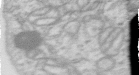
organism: Human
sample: Centriole in RPE cells